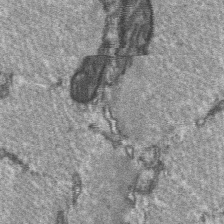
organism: C57BL Mouse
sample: Soleus